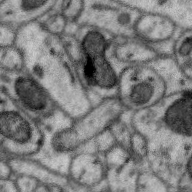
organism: Zebra finch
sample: Brain